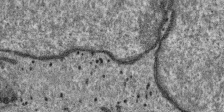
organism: Human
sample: Lung epithelial cells, uninfected (mock) control